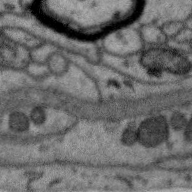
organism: Zebra finch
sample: Brain